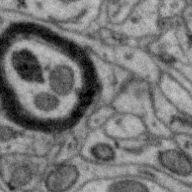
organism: Zebra finch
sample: Brain